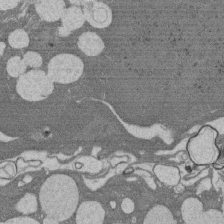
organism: Rat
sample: Salivary granule